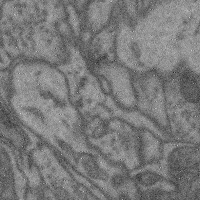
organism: Mouse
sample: Cerebral cortex